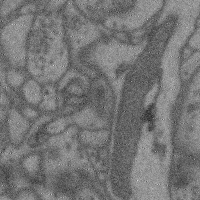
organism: Mouse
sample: Cerebral cortex